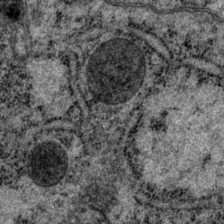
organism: P. pacificus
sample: Pharynx